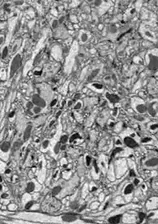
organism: Drosophila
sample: Optic lobe